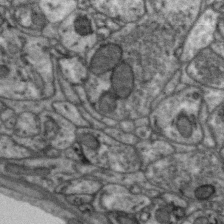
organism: Zebra finch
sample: Brain